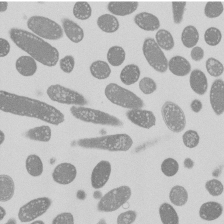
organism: E. coli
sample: Bacterial nucleoid